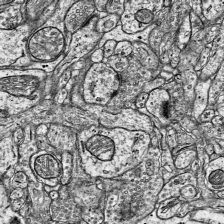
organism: Mouse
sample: Visual Cortex